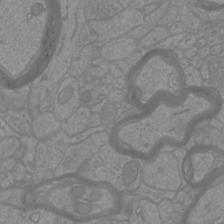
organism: Mouse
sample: Cortical neurons